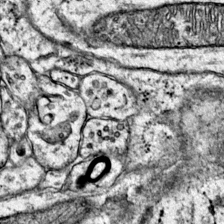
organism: Mouse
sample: Primary visual cortex